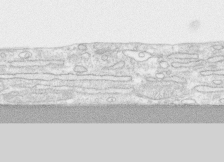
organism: Human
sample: CRL-1474